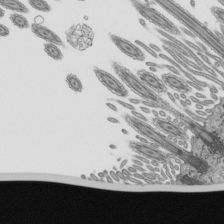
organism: Mouse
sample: Mouse epididymis efferent ductule cilia